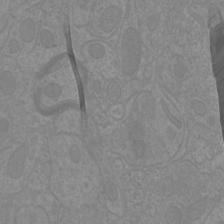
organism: Mouse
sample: Cortical neurons